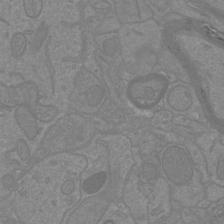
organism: Mouse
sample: Cortical neurons